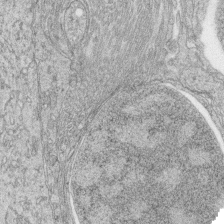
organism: Zebrafish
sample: synaptic ribbons in rod cells and cone cells